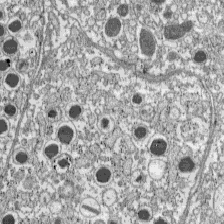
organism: C57BL Mouse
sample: Pancreatic islet